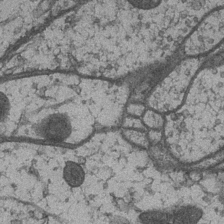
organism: Drosophila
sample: Optic medulla